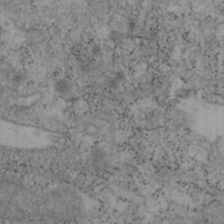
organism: Mouse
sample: OT-I killer T cells with ID8 ovarian cancer cells